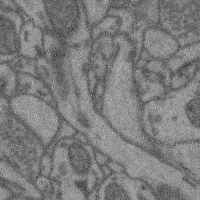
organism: Mouse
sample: Cerebral cortex